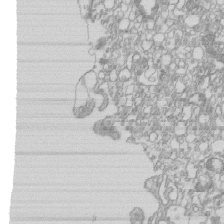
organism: Mouse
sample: Macrophages